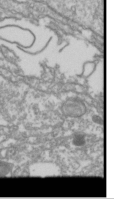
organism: Drosophila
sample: Cell division; meiosis; drosophila spermatocytes